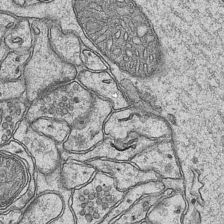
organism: Mouse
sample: CA1 Hippocampus